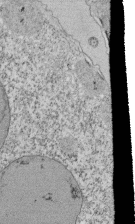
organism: Tetrahymena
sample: Cilia in tetrahymena